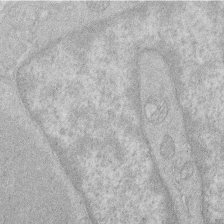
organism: Human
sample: Macrophage cells